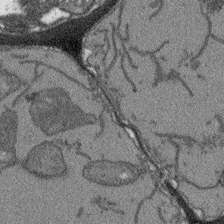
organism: Arabidopsis thaliana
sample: Root tip